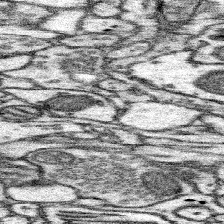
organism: Mouse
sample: Somatosensory cortex neuropil